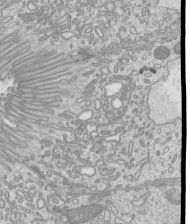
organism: Mouse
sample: Cilia; mouse epididymis